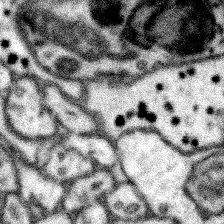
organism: Mouse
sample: Somatosensory cortex neuropil